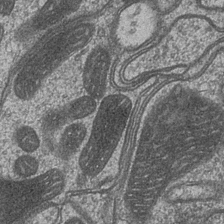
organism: Drosophila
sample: Optic medulla